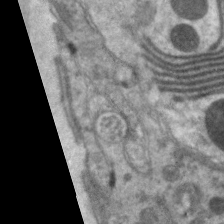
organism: C. elegans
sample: Pharynx